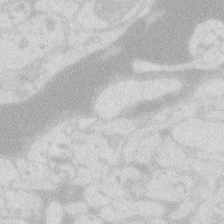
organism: Zebrafish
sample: Macrophage